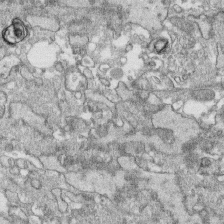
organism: Human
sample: CRL-1474